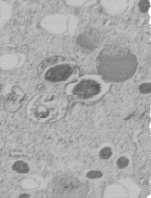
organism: C. elegans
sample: C. elegans embryo early stage